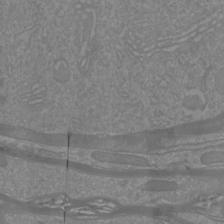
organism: Mouse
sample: Cortical neurons